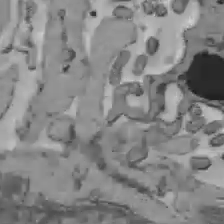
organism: C57BL Mouse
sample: Liver